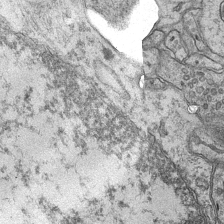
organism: Mouse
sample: CA1 Hippocampus